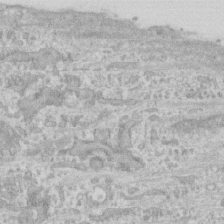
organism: Human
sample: CRL-1474